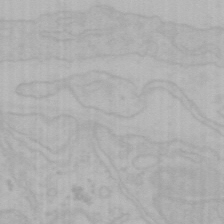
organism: Mouse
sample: Choroid plexus